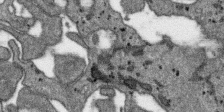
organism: Human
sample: Lung epithelial cells, uninfected (mock) control